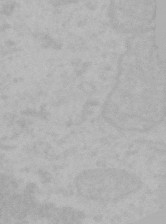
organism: Mouse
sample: Choroid plexus